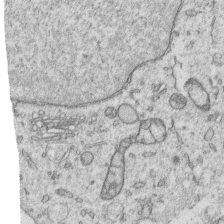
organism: Human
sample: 1205lu cells